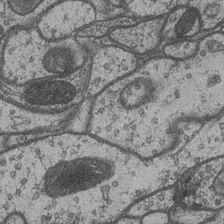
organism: Drosophila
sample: Optic medulla